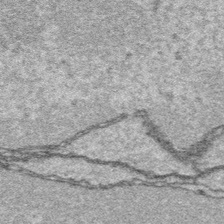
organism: Platynereis dumerilii